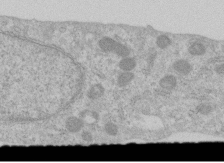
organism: Human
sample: Centriole in RPE cells